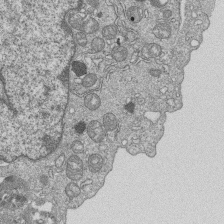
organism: Human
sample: MDA-MB-231 cells